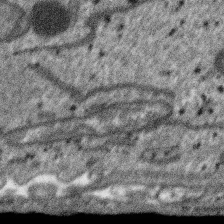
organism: Human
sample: Lung epithelial cells infected with SARS-CoV-2